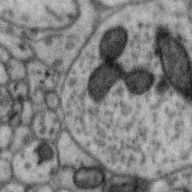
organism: Zebra finch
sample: Brain